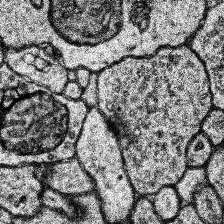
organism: Human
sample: Temporal Lobe